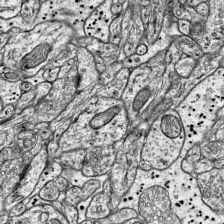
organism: Mouse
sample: Visual Cortex